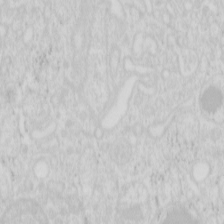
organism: Mouse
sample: Pancreas